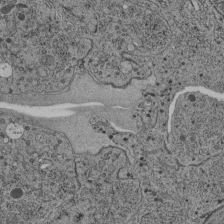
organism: C. elegans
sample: C. elegans pharynx